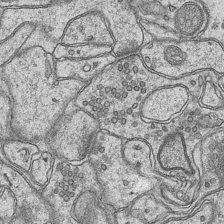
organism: Mouse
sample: CA1 Hippocampus